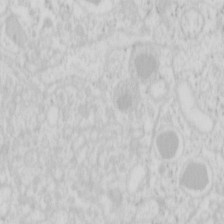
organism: Mouse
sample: Pancreas